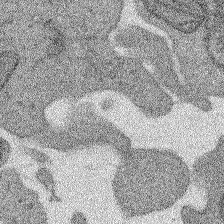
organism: Human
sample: HeLa cells